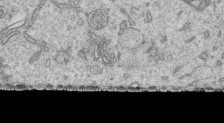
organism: Human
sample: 1205lu cells